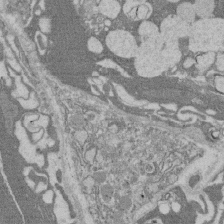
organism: Rat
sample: Salivary granule